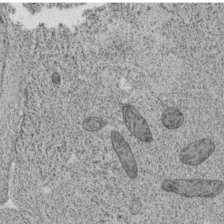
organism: C. elegans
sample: C. elegans oocyte; sperm cells